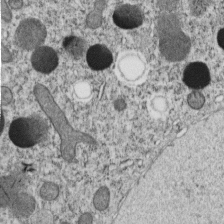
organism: C. elegans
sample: C. elegans embryo early stage